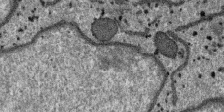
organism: Human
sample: Lung epithelial cells, uninfected (mock) control